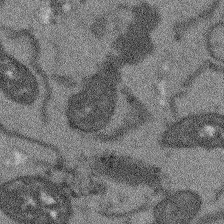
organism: Arabidopsis thaliana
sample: Root tip